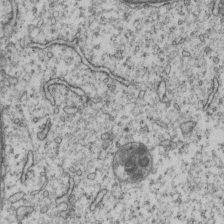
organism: Human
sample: MDA-MB-231 cells